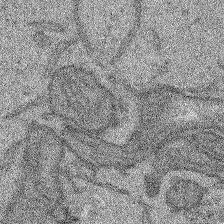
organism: Human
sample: HeLa cells